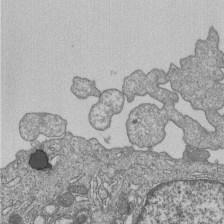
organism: Human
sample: MDA-MB-231 cells